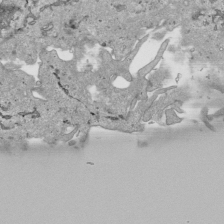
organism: Human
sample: Mitochondria in HCT116 cells